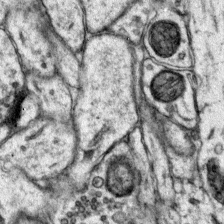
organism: Mouse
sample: Primary visual cortex